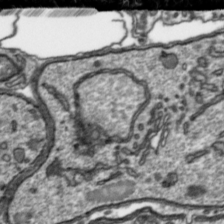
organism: Toxoplasma gondii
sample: Parasites in a vacuole inside a host cell